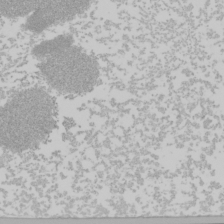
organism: Mouse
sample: Cancer cell death in ED-1 cells